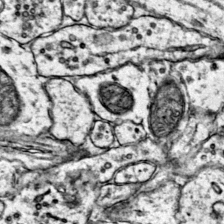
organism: Mouse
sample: Primary visual cortex